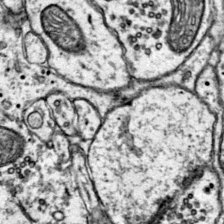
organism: Mouse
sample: Primary visual cortex